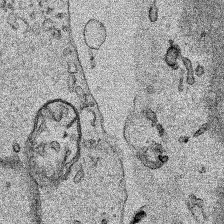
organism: Human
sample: Mitochondria in HCT116 cells